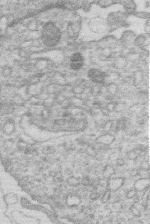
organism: Human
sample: Macrophage cells